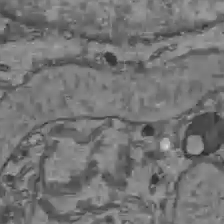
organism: C57BL Mouse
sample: Liver